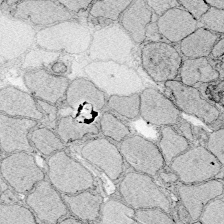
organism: Zebrafish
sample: Whole-Brain